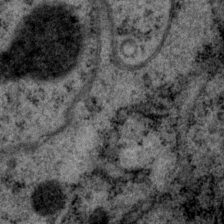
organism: P. pacificus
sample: Pharynx